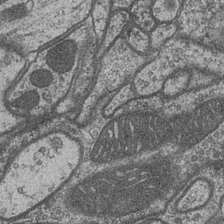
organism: Drosophila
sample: Optic medulla